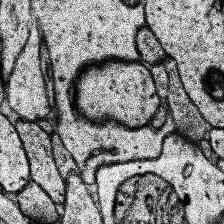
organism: Human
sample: Temporal Lobe